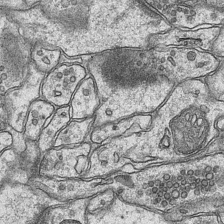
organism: Mouse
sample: CA1 Hippocampus